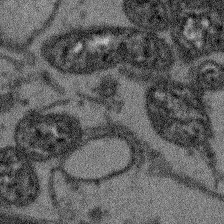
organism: Arabidopsis thaliana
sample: Root tip